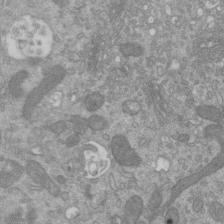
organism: Mouse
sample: ED-1 cell nuclei; centrioles